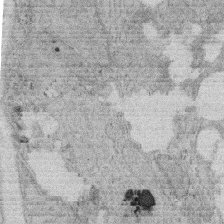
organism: Rat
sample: Salivary granule